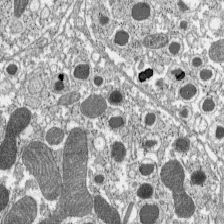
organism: C57BL Mouse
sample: Pancreatic islet